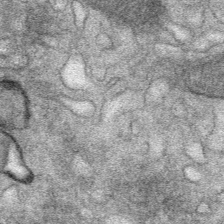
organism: Mouse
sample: Mouse Salivary gland